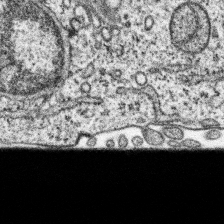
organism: Human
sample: HeLa cells